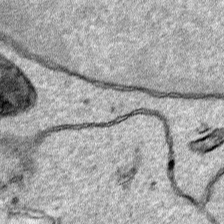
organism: Human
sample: Mitochondria in HCT116 cells